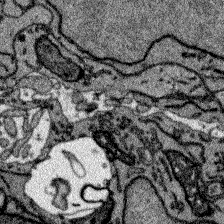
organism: Zebrafish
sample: Larval olfactory bulb